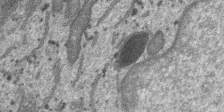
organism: Human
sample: Lung epithelial cells infected with SARS-CoV-2